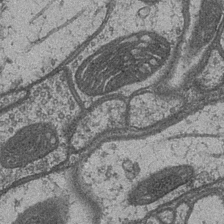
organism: Drosophila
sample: Optic medulla